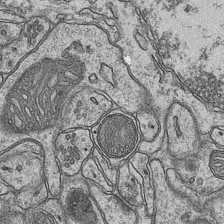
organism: Mouse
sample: CA1 Hippocampus